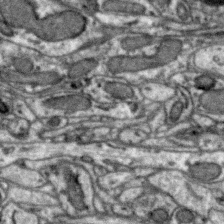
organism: Zebra finch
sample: Brain